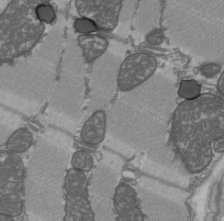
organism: C57BL Mouse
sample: Heart